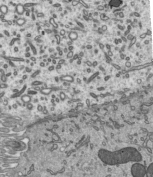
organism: Mouse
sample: Mouse epididymis efferent ductule cilia